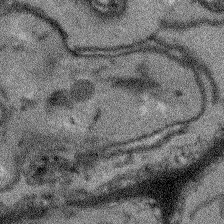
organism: Arabidopsis thaliana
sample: Root tip